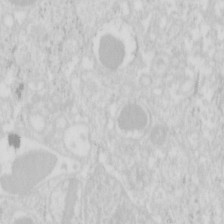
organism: Mouse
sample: Pancreas